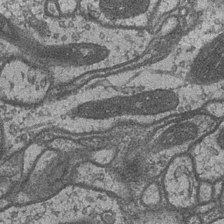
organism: Drosophila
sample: Optic medulla